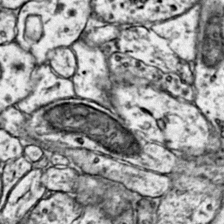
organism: Mouse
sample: Primary visual cortex